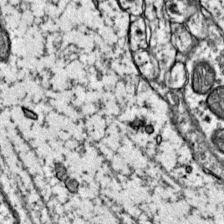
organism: Mouse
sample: Primary visual cortex